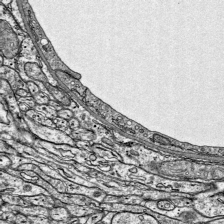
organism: Mouse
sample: Visual Cortex